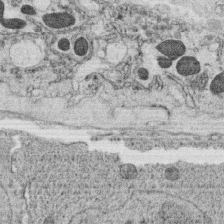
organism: C. elegans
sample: C. elegans oocyte; sperm cells